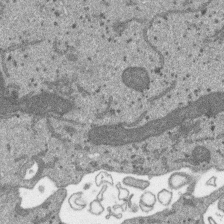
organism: Human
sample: Lung epithelial cells infected with SARS-CoV-2